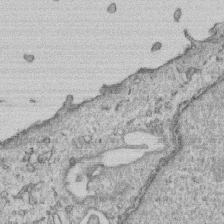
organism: Human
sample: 1205lu cells